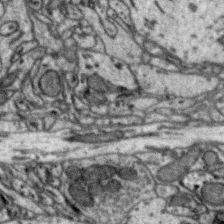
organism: Zebra finch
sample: Brain